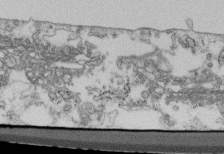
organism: Mouse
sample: Cilia; retinal pigment epithelium